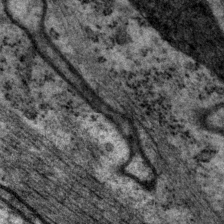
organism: P. pacificus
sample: Pharynx